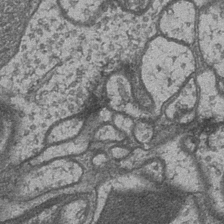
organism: Drosophila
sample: Optic medulla